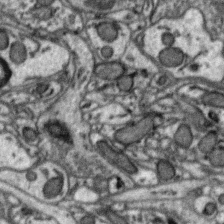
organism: Zebra finch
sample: Brain